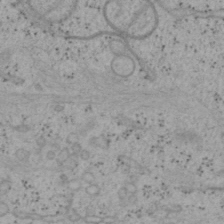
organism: Human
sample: HeLa cells